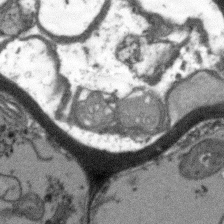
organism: Arabidopsis thaliana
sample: Root tip